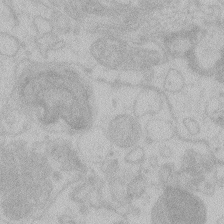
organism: Zebrafish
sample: Macrophage infected with Toxoplasma gondii